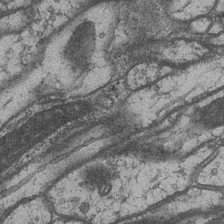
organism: Drosophila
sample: Optic medulla